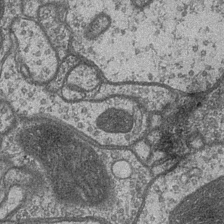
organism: Drosophila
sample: Optic medulla